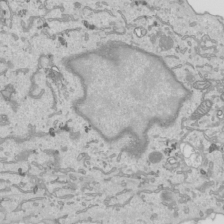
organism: Human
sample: Mitochondria in HCT116 cells